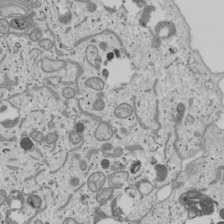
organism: Human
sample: Mitochondria in U2OS cells